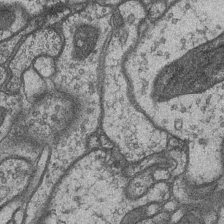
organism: Drosophila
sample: Optic medulla